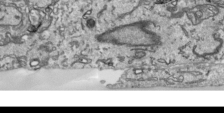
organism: Human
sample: Mitochondria in HCT116 cells